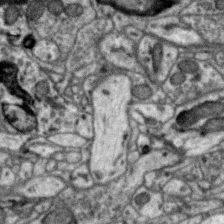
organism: Zebra finch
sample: Brain